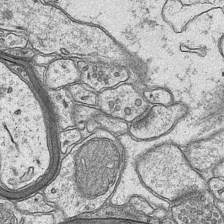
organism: Mouse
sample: CA1 Hippocampus